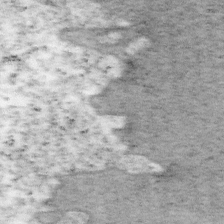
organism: Mouse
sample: OT-I killer T cells with ID8 ovarian cancer cells